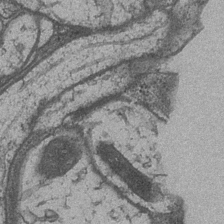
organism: Drosophila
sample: Optic medulla